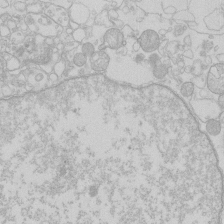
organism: Human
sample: Macrophage cells